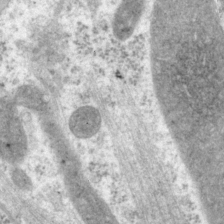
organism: P. pacificus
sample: Pharynx